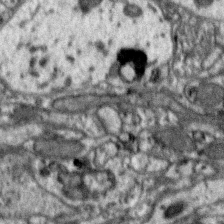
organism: Zebra finch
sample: Brain